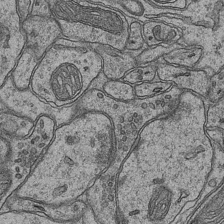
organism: Mouse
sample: CA1 Hippocampus